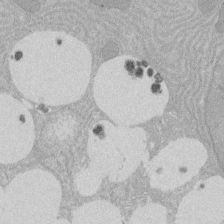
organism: Rat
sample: Salivary granule